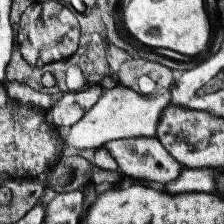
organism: Human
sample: Temporal Lobe